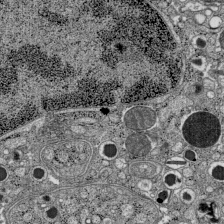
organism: C57BL Mouse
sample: Pancreatic islet